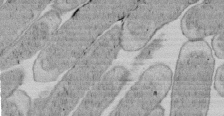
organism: E. coli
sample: Bacterial nucleoid